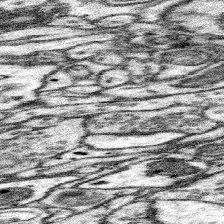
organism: Mouse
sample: Somatosensory cortex neuropil